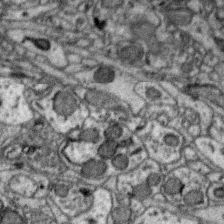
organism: Zebra finch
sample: Brain